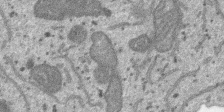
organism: Human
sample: Lung epithelial cells infected with SARS-CoV-2